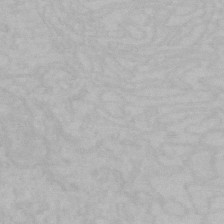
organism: Mouse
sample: Choroid plexus